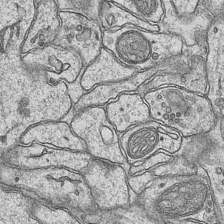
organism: Mouse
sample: CA1 Hippocampus